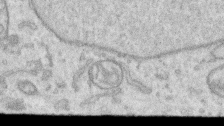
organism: Human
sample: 1205lu cells